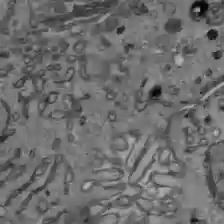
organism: C57BL Mouse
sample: Liver